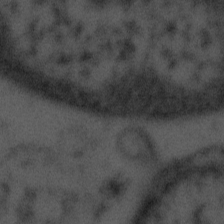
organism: Tuwongella immobilis